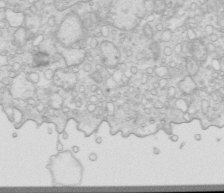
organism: Mouse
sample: Multiciliated cells